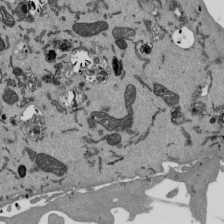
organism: Mouse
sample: ED-1 cell nuclei; centrioles